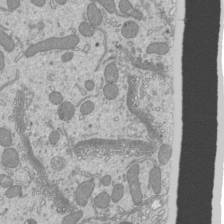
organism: Mouse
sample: Cilia; mouse epididymis